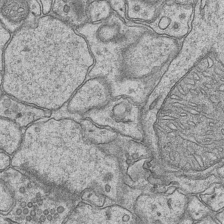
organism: Mouse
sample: CA1 Hippocampus